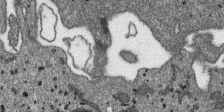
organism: Human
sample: Lung epithelial cells infected with SARS-CoV-2